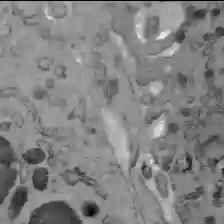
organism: C57BL Mouse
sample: Liver